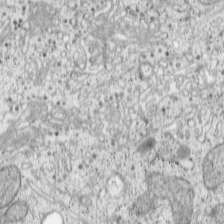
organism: African green monkey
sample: COS-7 cells